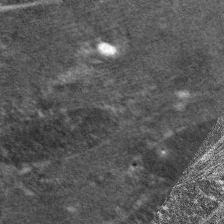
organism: C. elegans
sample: Pharynx